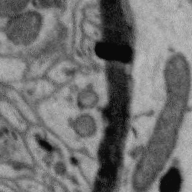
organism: Zebra finch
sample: Brain